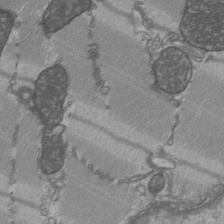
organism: C57BL Mouse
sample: Heart